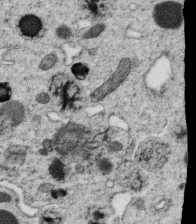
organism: C. elegans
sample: C. elegans oocyte; sperm cells